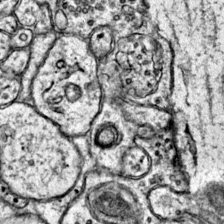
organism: Mouse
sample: Primary visual cortex